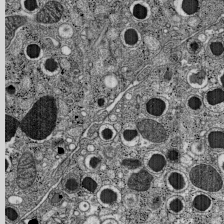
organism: C57BL Mouse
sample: Pancreatic islet